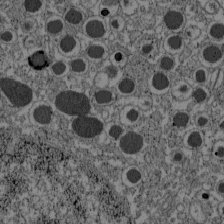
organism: C57BL Mouse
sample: Pancreatic islet